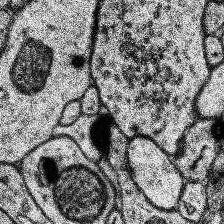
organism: Human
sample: Temporal Lobe